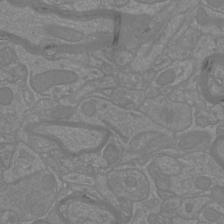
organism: Mouse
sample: Cortical neurons